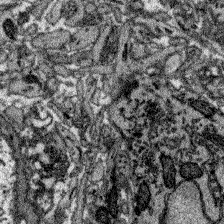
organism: Zebrafish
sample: Larval olfactory bulb